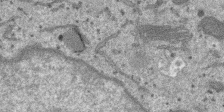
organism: Human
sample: Lung epithelial cells infected with SARS-CoV-2